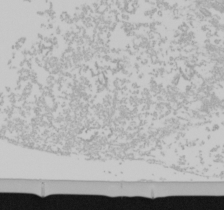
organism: Mouse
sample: Cancer cell death in ED-1 cells